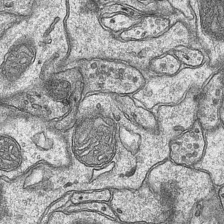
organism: Mouse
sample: CA1 Hippocampus